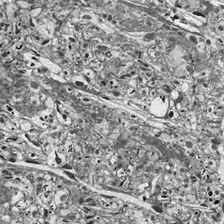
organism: Drosophila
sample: Optic lobe